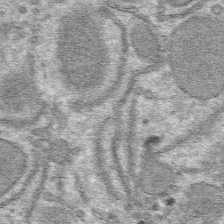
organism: Mouse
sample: Mouse hepatocytes